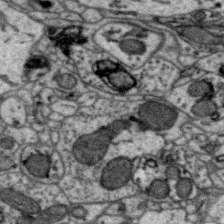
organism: Zebra finch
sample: Brain